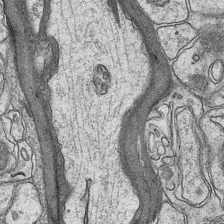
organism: Mouse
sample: CA1 Hippocampus